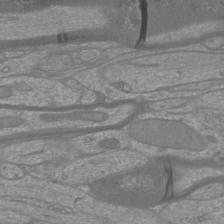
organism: Mouse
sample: Cortical neurons